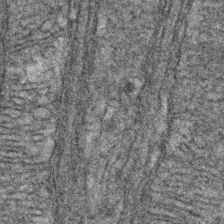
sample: Kidney